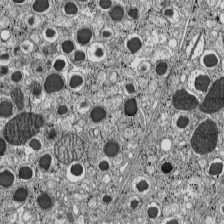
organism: C57BL Mouse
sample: Pancreatic islet